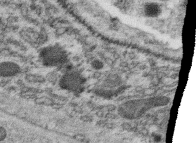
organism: C. elegans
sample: C. elegans oocyte; sperm cells